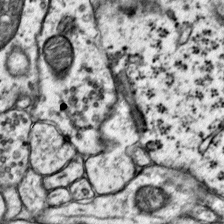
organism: Mouse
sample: Primary visual cortex